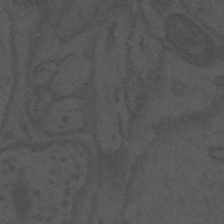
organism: Mouse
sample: Suprachiasmatic nucleus